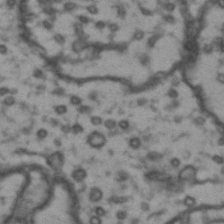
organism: Drosophila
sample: Brain